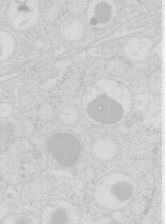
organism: Mouse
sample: Pancreas